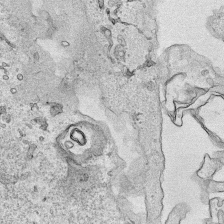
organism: Human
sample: Mitochondria in HCT116 cells